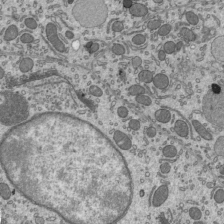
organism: Mouse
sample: Mouse epididymis efferent ductule cilia